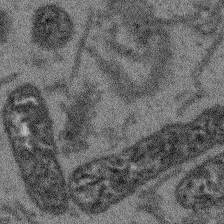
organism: Arabidopsis thaliana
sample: Root tip